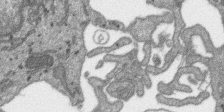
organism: Human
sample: Lung epithelial cells infected with SARS-CoV-2